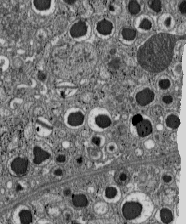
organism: C57BL Mouse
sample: Pancreatic islet